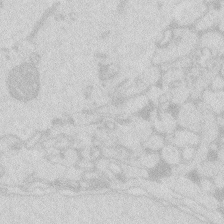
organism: Zebrafish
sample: Macrophage